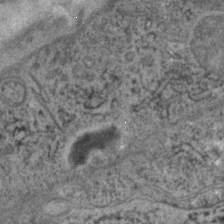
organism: C. elegans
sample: C. elegans embryo